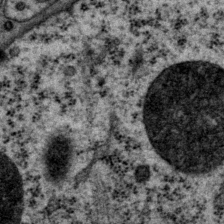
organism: P. pacificus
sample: Pharynx